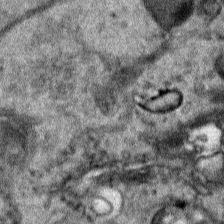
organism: Human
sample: Mitochondria in HCT116 cells